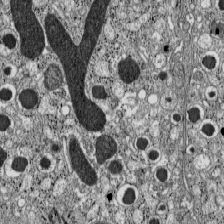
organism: C57BL Mouse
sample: Pancreatic islet